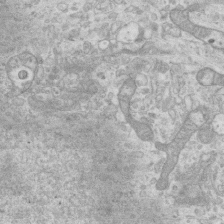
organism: Mouse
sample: Centriole in ependymal cells